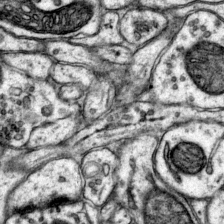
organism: Mouse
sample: Primary visual cortex